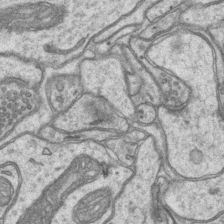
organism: Mouse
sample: CA1 Hippocampus